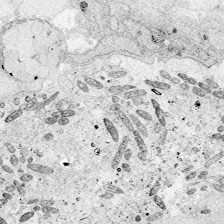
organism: Zebrafish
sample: Whole-Brain